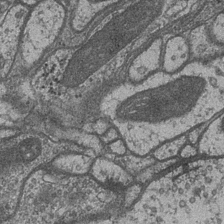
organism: Drosophila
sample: Optic medulla